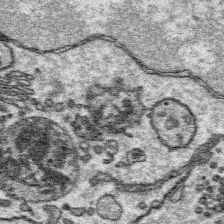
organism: Platynereis dumerilii